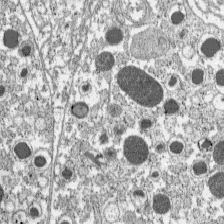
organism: C57BL Mouse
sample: Pancreatic islet